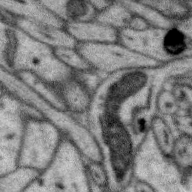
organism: Zebra finch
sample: Brain